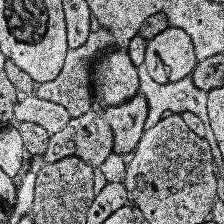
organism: Human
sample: Temporal Lobe